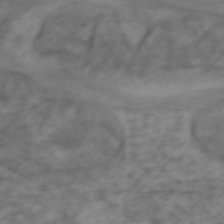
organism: Zebrafish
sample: Zebrafish embryo